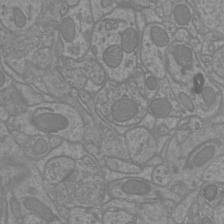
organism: Mouse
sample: Cortical neurons